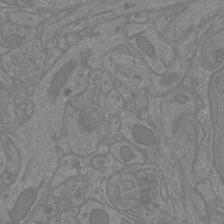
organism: Mouse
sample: Cortical neurons